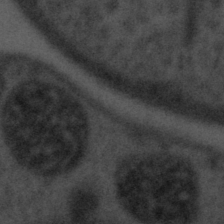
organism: Tuwongella immobilis